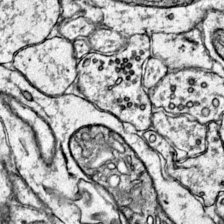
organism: Mouse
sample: Primary visual cortex